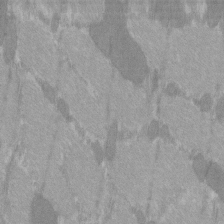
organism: C57BL Mouse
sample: Tibialis anterior muscle cell